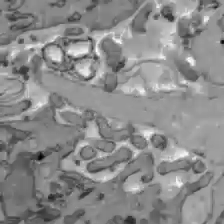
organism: C57BL Mouse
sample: Liver